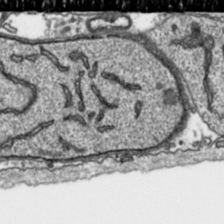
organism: Toxoplasma gondii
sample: Parasites in a vacuole inside a host cell